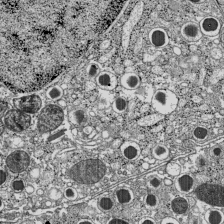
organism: C57BL Mouse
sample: Pancreatic islet